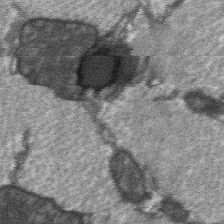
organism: C57BL Mouse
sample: Soleus